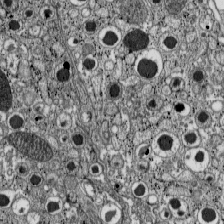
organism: C57BL Mouse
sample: Pancreatic islet